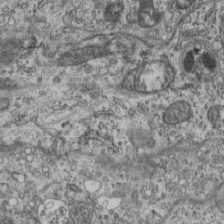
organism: Mouse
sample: Centriole in ependymal cells